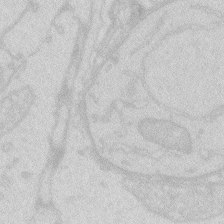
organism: Zebrafish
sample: Macrophage